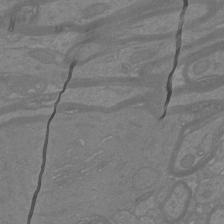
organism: Mouse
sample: Cortical neurons